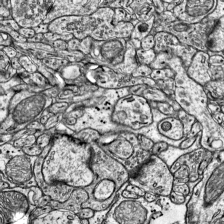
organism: Mouse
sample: Visual Cortex